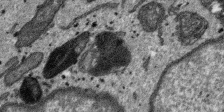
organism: Human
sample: Lung epithelial cells, uninfected (mock) control